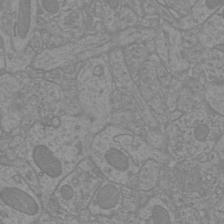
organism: Mouse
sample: Cortical neurons